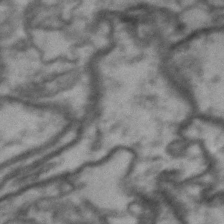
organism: Drosophila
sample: Brain